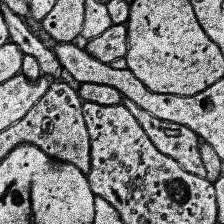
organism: Human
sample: Temporal Lobe